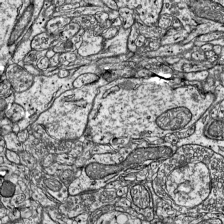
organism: Mouse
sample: Visual Cortex